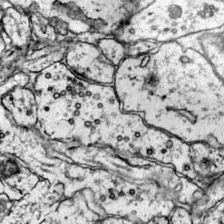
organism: Mouse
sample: Primary visual cortex